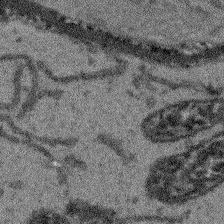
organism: Arabidopsis thaliana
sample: Root tip